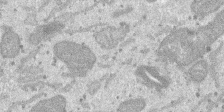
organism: Human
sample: Lung epithelial cells infected with SARS-CoV-2